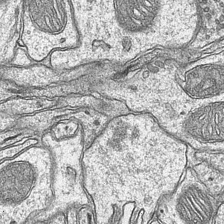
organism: Mouse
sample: CA1 Hippocampus